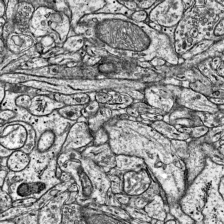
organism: Mouse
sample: Visual Cortex